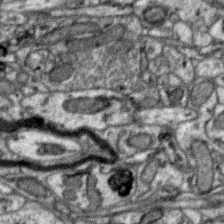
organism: Zebra finch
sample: Brain